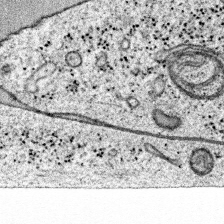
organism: Human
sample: HeLa cells